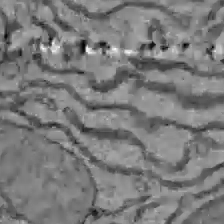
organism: C57BL Mouse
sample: Liver